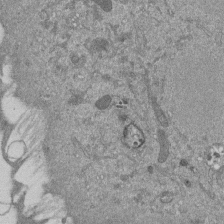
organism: Mouse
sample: ED-1 cell nuclei; centrioles